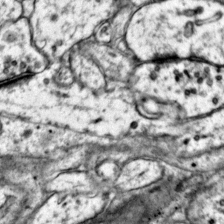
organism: Mouse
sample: Primary visual cortex